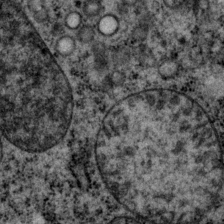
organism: P. pacificus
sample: Pharynx